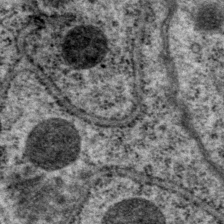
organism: P. pacificus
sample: Pharynx